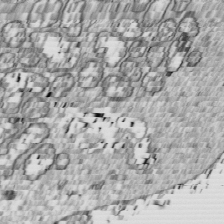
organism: Drosophila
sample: Cell division; meiosis; drosophila spermatocytes